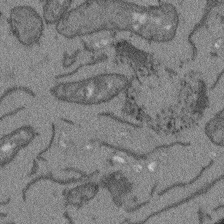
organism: Arabidopsis thaliana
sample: Root tip